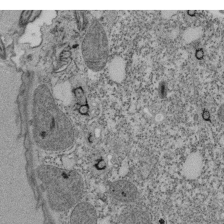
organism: Tetrahymena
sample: Cilia in tetrahymena